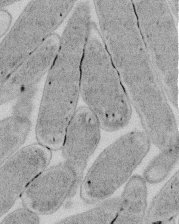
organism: E. coli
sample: Bacterial nucleoid